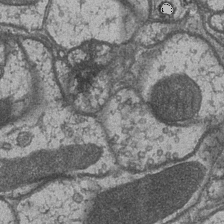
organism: Drosophila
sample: Optic medulla